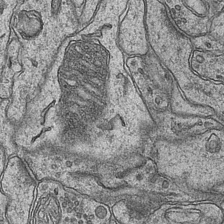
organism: Mouse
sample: CA1 Hippocampus